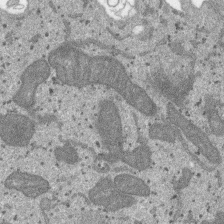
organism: Human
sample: Lung epithelial cells infected with SARS-CoV-2